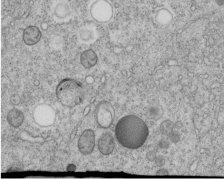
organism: C. elegans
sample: C. elegans embryo early stage